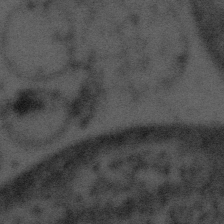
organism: Tuwongella immobilis